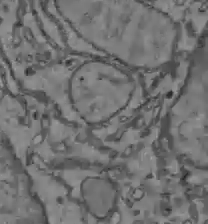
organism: C57BL Mouse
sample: Liver